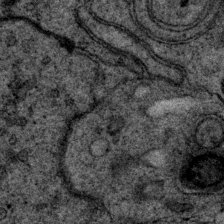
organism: P. pacificus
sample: Pharynx